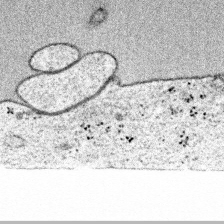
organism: Human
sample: HeLa cells